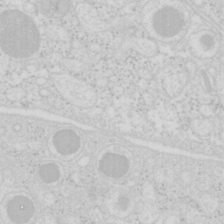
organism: Mouse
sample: Pancreas